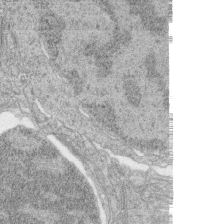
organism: Zebrafish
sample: synaptic ribbons in rod cells and cone cells